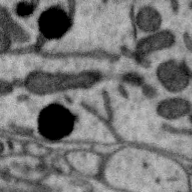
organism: Zebra finch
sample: Brain